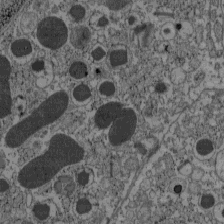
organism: C57BL Mouse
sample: Pancreatic islet